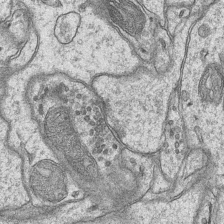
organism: Mouse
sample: CA1 Hippocampus